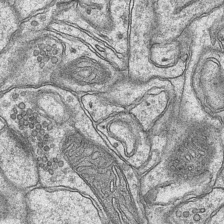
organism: Mouse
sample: CA1 Hippocampus